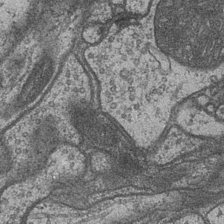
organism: Drosophila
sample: Optic medulla